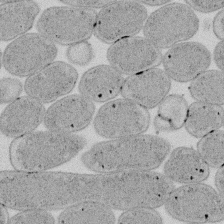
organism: E. coli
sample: Bacterial nucleoid